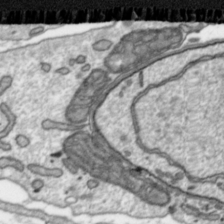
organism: Toxoplasma gondii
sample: Parasites in a vacuole inside a host cell